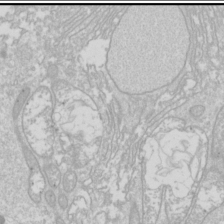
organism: Drosophila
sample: Cell division; meiosis; drosophila spermatocytes